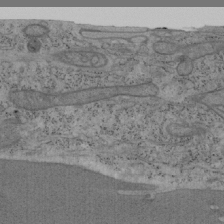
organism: Human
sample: HeLa cells